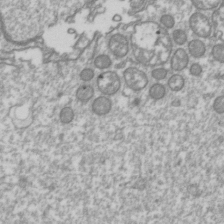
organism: Drosophila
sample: Cell division; meiosis; drosophila spermatocytes